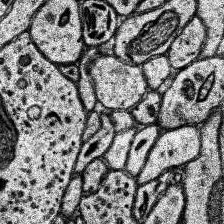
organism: Human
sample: Temporal Lobe